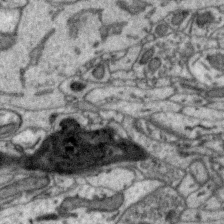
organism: Zebra finch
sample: Brain